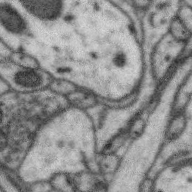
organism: Zebra finch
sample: Brain